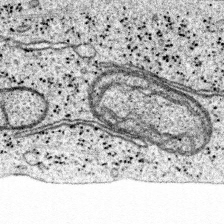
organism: Human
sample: HeLa cells